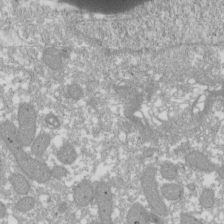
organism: Xenopus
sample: Cilia; centrioles in frog embryo cells